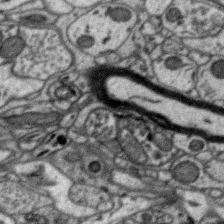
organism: Zebra finch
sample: Brain